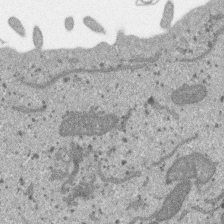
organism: Human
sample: Lung epithelial cells infected with SARS-CoV-2